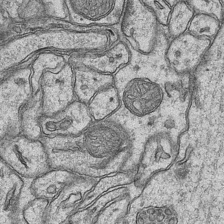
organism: Mouse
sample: CA1 Hippocampus